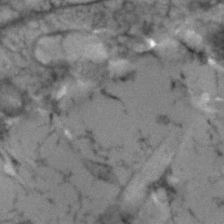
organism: Human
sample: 1205lu cells